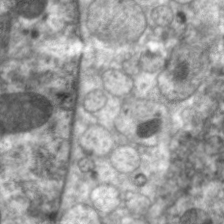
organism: C. elegans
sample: Pharynx